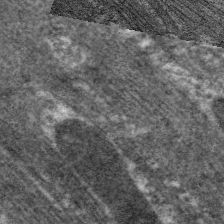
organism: C. elegans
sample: Pharynx